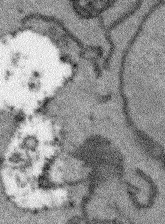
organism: Arabidopsis thaliana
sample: Root tip